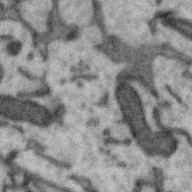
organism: Zebra finch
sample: Brain